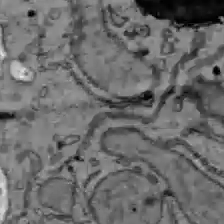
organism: C57BL Mouse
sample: Liver